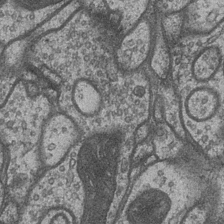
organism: Drosophila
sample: Optic medulla